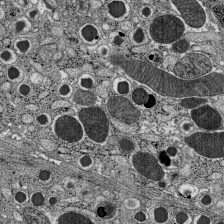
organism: C57BL Mouse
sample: Pancreatic islet